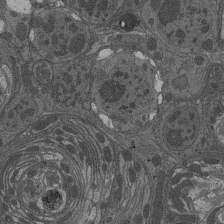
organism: Drosophila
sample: Antenna